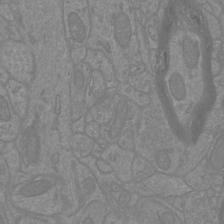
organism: Mouse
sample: Cortical neurons